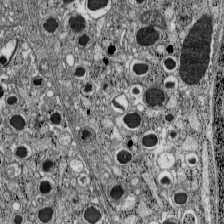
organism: C57BL Mouse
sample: Pancreatic islet